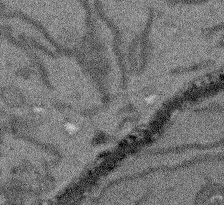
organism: Arabidopsis thaliana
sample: Root tip